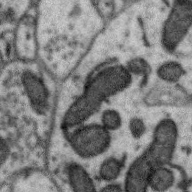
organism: Zebra finch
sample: Brain